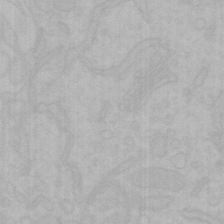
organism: Mouse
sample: Choroid plexus